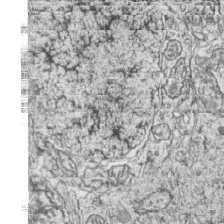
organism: Zebrafish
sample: synaptic ribbons in rod cells and cone cells